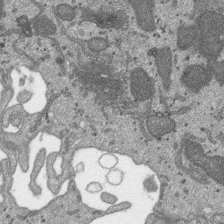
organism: Human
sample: Lung epithelial cells infected with SARS-CoV-2